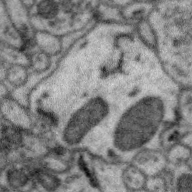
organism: Zebra finch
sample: Brain